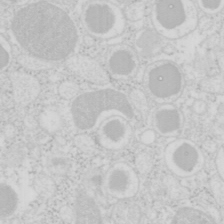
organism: Mouse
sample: Pancreas